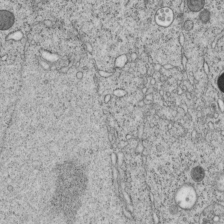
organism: C. elegans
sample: C. elegans embryo early stage